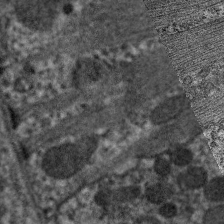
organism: C. elegans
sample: Pharynx